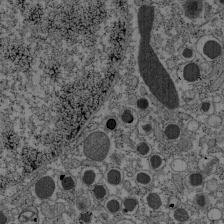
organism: C57BL Mouse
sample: Pancreatic islet